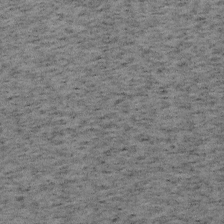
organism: Mouse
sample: OT-I killer T cells with ID8 ovarian cancer cells